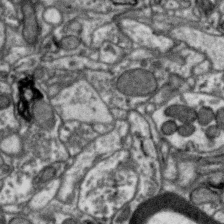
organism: Zebra finch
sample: Brain